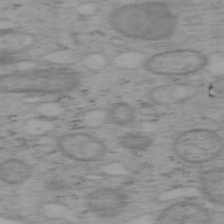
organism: Mouse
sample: OT-I killer T cells with ID8 ovarian cancer cells